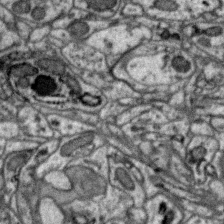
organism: Zebra finch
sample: Brain